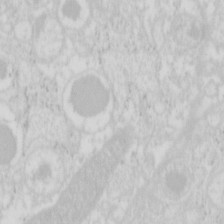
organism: Mouse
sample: Pancreas